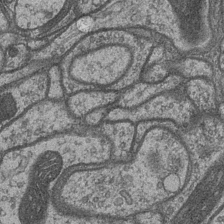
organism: Drosophila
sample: Optic medulla